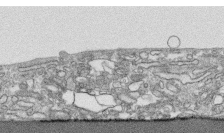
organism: Human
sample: CRL-1474